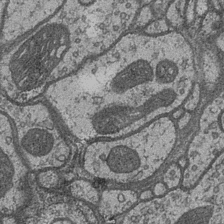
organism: Drosophila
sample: Optic medulla